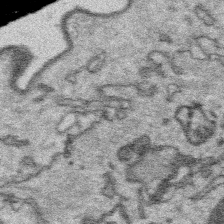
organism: Platynereis dumerilii